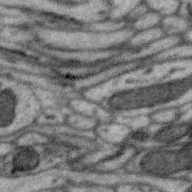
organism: Zebra finch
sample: Brain